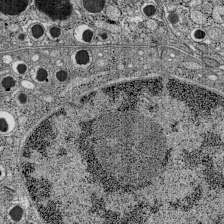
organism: C57BL Mouse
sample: Pancreatic islet